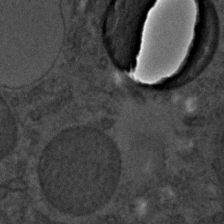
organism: C. elegans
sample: C. elegans embryo